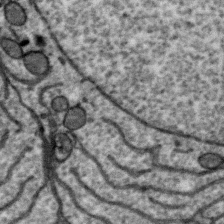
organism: Zebra finch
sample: Brain